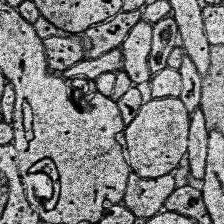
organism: Human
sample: Temporal Lobe